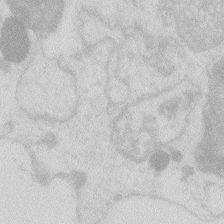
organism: Zebrafish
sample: Macrophage